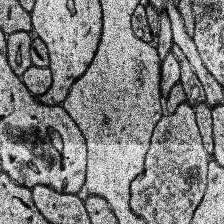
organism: Human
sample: Temporal Lobe